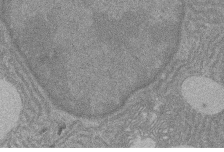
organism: Rat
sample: Salivary granule